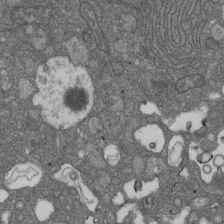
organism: Drosophila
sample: Nephrocyte